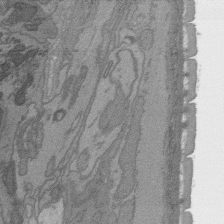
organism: C. elegans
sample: AFD neurons C. elegans